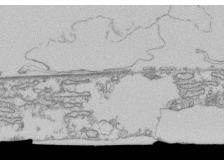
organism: Human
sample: Fibroblast cells